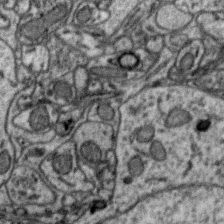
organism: Zebra finch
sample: Brain